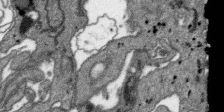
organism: Human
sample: Lung epithelial cells, uninfected (mock) control